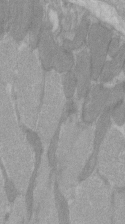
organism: C57BL Mouse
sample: Tibialis anterior muscle cell